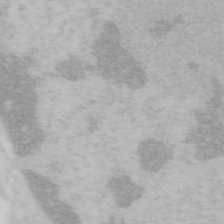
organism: Mouse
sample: OT-I killer T cells with ID8 ovarian cancer cells